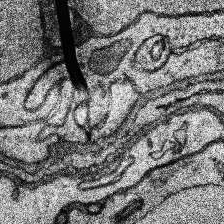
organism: Human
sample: Temporal Lobe